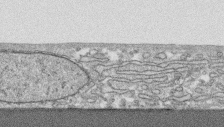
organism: Human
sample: CRL-1474